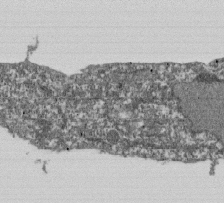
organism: Dictyostelium discoideum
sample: Dictyostelium multivesicular bodies